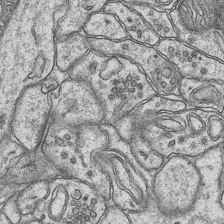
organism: Mouse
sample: CA1 Hippocampus